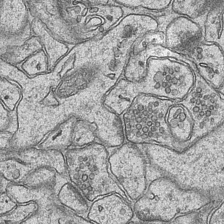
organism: Mouse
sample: CA1 Hippocampus